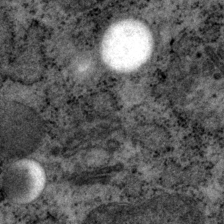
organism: P. pacificus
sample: Pharynx